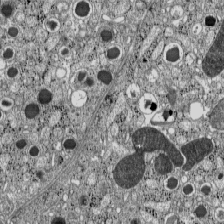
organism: C57BL Mouse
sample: Pancreatic islet